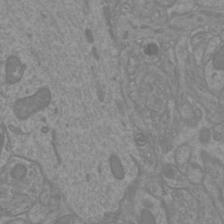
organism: Mouse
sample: Cortical neurons